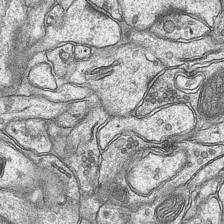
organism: Mouse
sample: CA1 Hippocampus